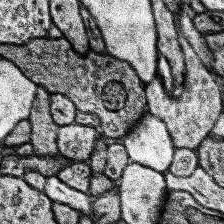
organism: Human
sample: Temporal Lobe